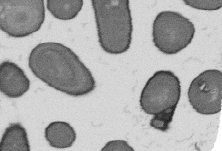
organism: B. subtilis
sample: Bacterial spore